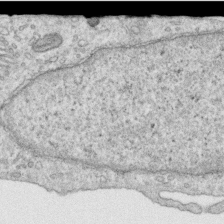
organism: Human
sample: Centriole in RPE cells